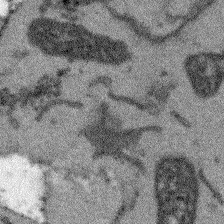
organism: Arabidopsis thaliana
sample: Root tip